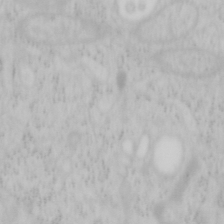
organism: Mouse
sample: OT-I killer T cells with ID8 ovarian cancer cells